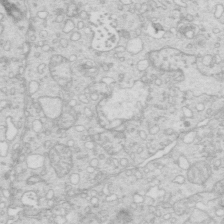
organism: Mouse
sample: Multiciliated cells